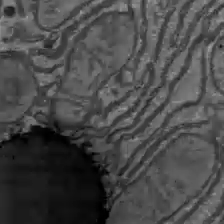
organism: C57BL Mouse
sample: Liver